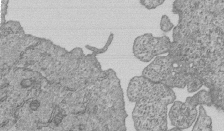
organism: Human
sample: MDA-MB-231 cells